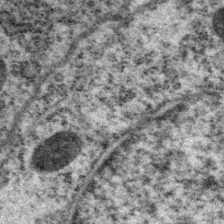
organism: P. pacificus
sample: Pharynx